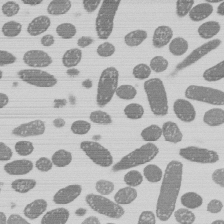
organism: E. coli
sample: Bacterial nucleoid